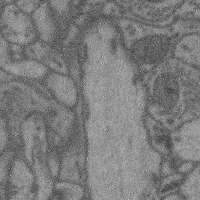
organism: Mouse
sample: Cerebral cortex